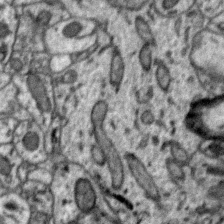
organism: Zebra finch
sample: Brain